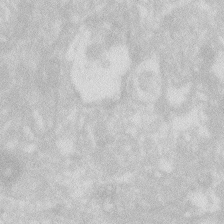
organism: Zebrafish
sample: Macrophage